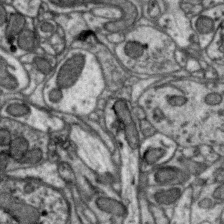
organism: Zebra finch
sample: Brain